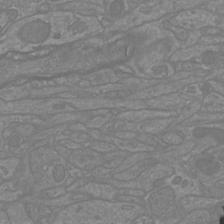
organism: Mouse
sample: Cortical neurons